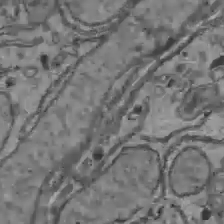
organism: C57BL Mouse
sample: Liver